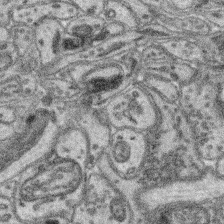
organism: Mouse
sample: Retina